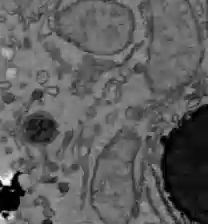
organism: C57BL Mouse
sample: Liver